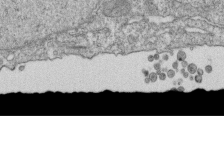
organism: Human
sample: HeLa cell HIV synapse